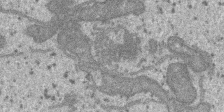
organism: Human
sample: Lung epithelial cells infected with SARS-CoV-2